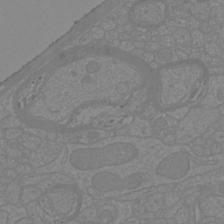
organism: Mouse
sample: Cortical neurons